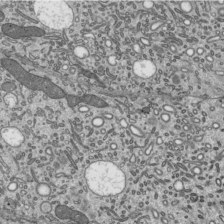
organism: Mouse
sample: Mouse epididymis efferent ductule cilia